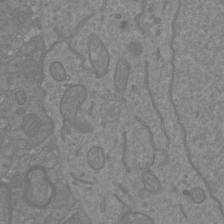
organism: Mouse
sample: Cortical neurons